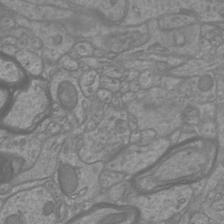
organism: Mouse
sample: Cortical neurons